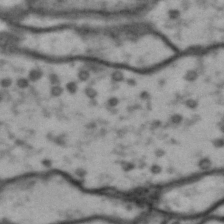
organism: Drosophila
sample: Brain